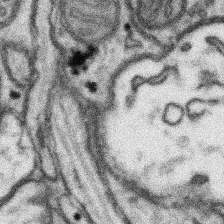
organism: Mouse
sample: Somatosensory cortex neuropil